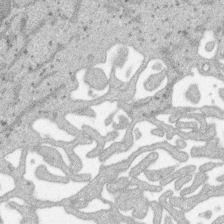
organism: Human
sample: Lung epithelial cells infected with SARS-CoV-2